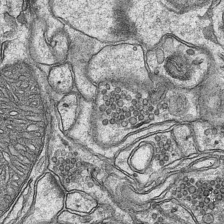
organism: Mouse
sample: CA1 Hippocampus